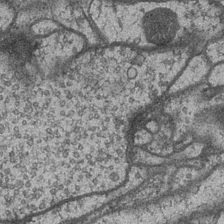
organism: Drosophila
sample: Optic medulla